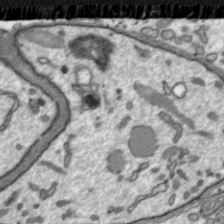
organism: Toxoplasma gondii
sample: Parasites in a vacuole inside a host cell